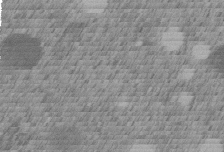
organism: C. elegans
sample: C. elegans embryo early stage